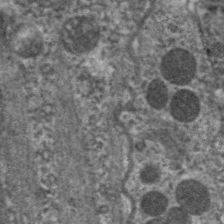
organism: C. elegans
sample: Pharynx